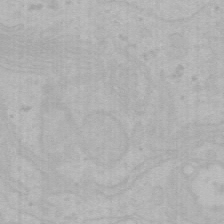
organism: Mouse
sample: Choroid plexus